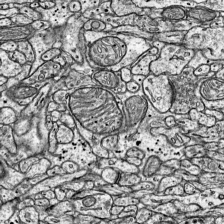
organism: Mouse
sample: Visual Cortex